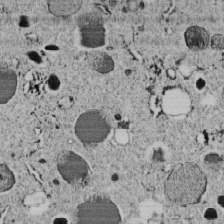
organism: C. elegans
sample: C. elegans embryo early stage